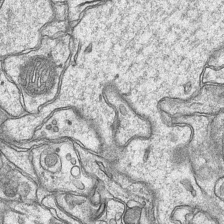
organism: Mouse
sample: CA1 Hippocampus